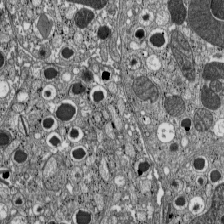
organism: C57BL Mouse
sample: Pancreatic islet